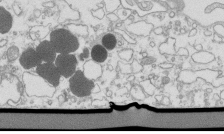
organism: Mouse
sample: Macrophages